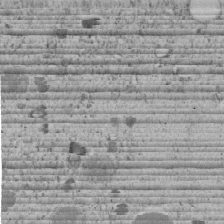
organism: C. elegans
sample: C. elegans embryo early stage